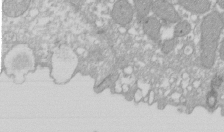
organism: Xenopus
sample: Cilia; centrioles in frog embryo cells